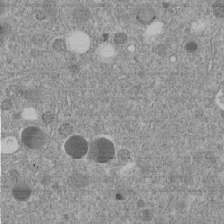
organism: C. elegans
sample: C. elegans embryo early stage